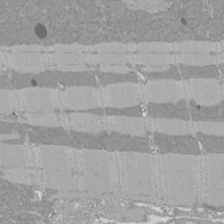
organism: Rat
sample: Left ventricle